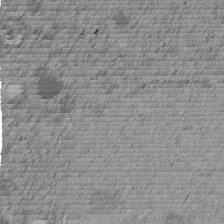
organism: C. elegans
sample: C. elegans embryo early stage